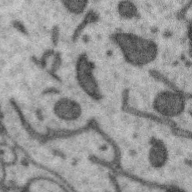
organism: Zebra finch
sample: Brain